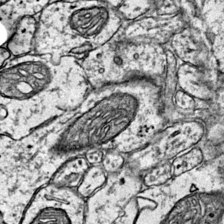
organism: Mouse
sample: Primary visual cortex